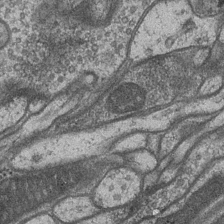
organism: Drosophila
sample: Optic medulla